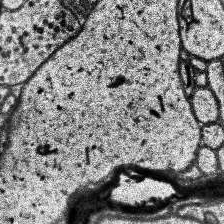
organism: Human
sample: Temporal Lobe